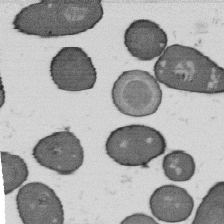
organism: B. subtilis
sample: Bacterial spore